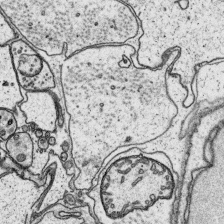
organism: Platynereis dumerilii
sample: Parapodia